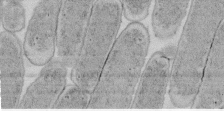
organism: E. coli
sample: Bacterial nucleoid